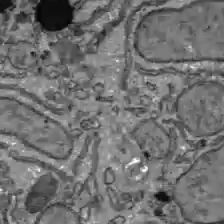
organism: C57BL Mouse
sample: Liver